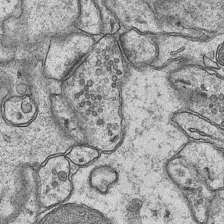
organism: Mouse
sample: CA1 Hippocampus